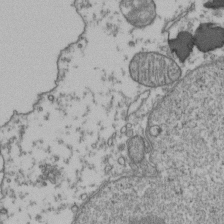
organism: Human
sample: Activated Jurkat CD4+ T cells